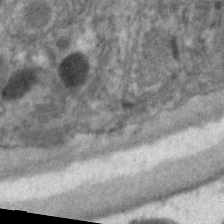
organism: C. elegans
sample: Pharynx